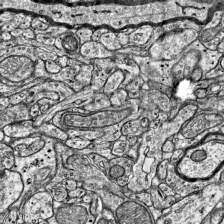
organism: Mouse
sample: Visual Cortex